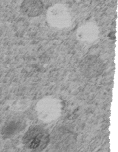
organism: C. elegans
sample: C. elegans embryo early stage